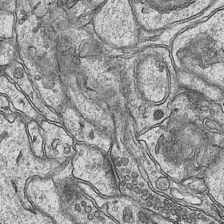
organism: Mouse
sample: CA1 Hippocampus